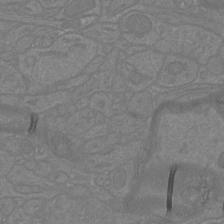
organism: Mouse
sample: Cortical neurons